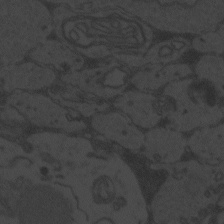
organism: Zebrafish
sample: Macrophage infected with Toxoplasma gondii